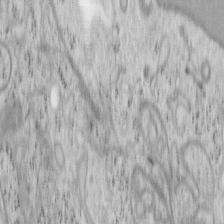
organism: Human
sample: HeLa cells